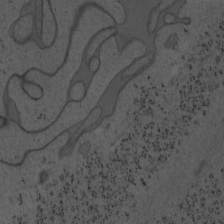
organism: Mouse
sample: OT-I killer T cells with ID8 ovarian cancer cells